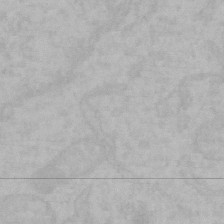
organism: Mouse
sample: Choroid plexus